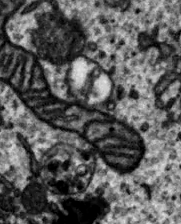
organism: Human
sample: HeLa cells